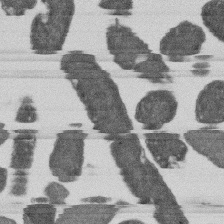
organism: E. coli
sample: Bacterial nucleoid